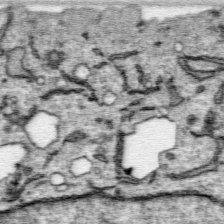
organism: Human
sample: HeLa cells